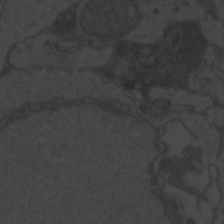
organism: Zebrafish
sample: Macrophage infected with Toxoplasma gondii